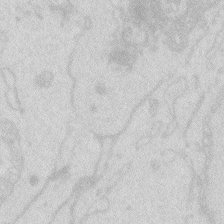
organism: Zebrafish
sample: Macrophage